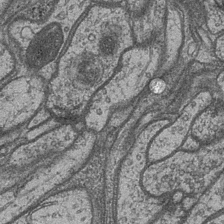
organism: Drosophila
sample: Optic medulla